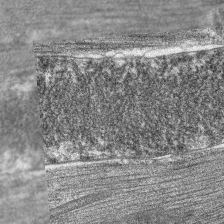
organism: C. elegans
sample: Pharynx